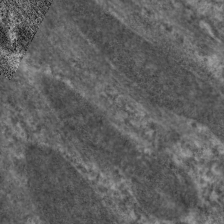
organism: C. elegans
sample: Pharynx